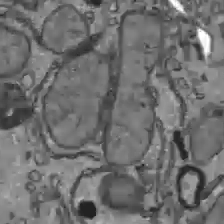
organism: C57BL Mouse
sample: Liver